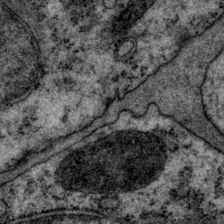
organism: P. pacificus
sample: Pharynx